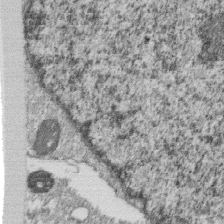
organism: African green monkey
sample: Vero E6 cells infected with SARS-CoV-2